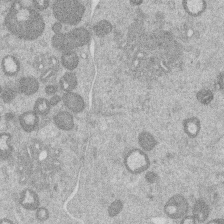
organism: Mouse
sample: Dividing mouse embryo 1 cell stage